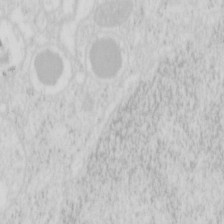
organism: Mouse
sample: Pancreas